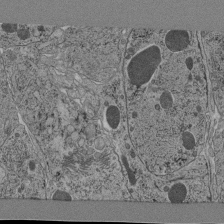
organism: C. elegans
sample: C. elegans pharynx